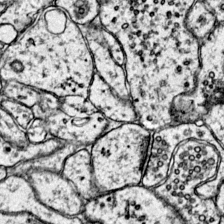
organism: Mouse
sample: Primary visual cortex